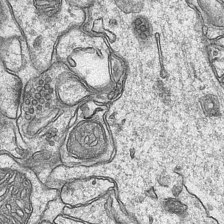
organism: Mouse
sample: CA1 Hippocampus